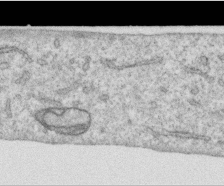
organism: Human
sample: Centriole in RPE cells